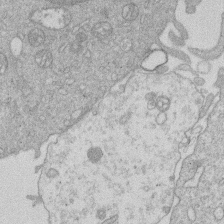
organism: Human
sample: Macrophage cells